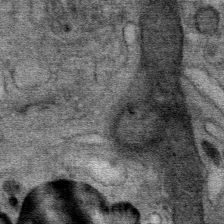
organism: Mouse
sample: Mouse Salivary gland